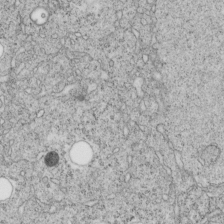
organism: C. elegans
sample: C. elegans embryo early stage